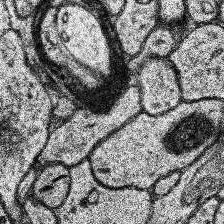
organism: Human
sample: Temporal Lobe